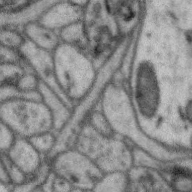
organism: Zebra finch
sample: Brain